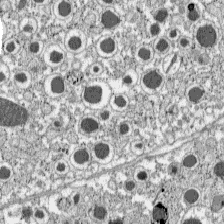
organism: C57BL Mouse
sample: Pancreatic islet